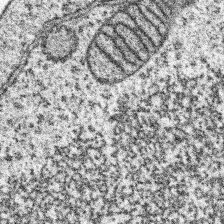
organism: Human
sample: HeLa cells